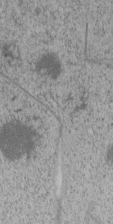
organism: C. elegans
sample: C. elegans embryo early stage